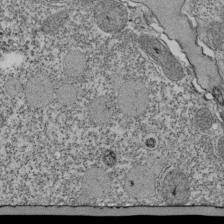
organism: Tetrahymena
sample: Cilia in tetrahymena